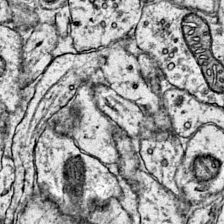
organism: Mouse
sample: Primary visual cortex